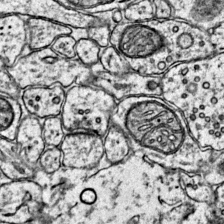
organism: Mouse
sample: Primary visual cortex